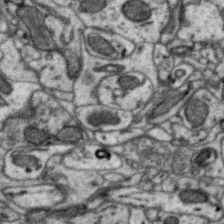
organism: Zebra finch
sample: Brain